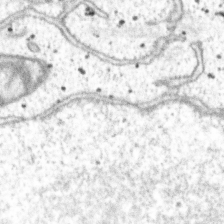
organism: Human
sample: HeLa cells